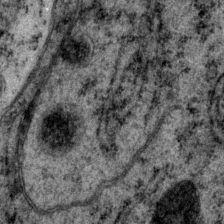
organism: P. pacificus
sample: Pharynx